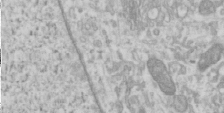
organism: Human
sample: Cilia; basal body in RPE cells